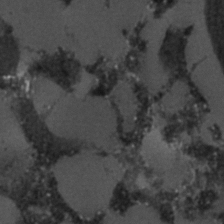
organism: C. elegans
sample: C. elegans embryo